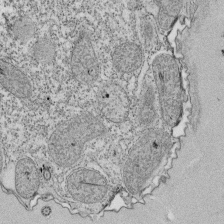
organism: Tetrahymena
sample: Cilia in tetrahymena